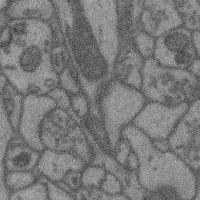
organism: Mouse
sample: Cerebral cortex